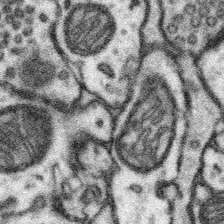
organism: Mouse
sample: Somatosensory cortex neuropil